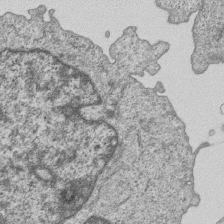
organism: Human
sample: MDA-MB-231 cells